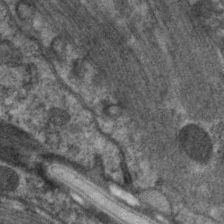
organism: C. elegans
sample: Pharynx